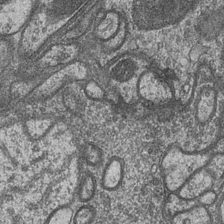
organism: Drosophila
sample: Optic medulla